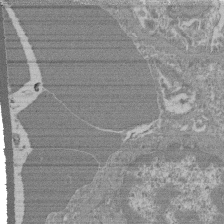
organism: Mouse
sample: Glomerulus